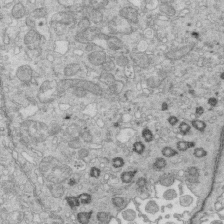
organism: Mouse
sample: Multiciliated cells